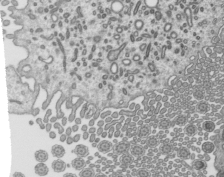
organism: Mouse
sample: Mouse epididymis efferent ductule cilia